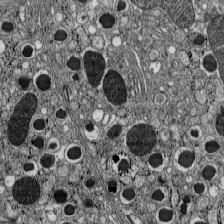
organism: C57BL Mouse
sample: Pancreatic islet